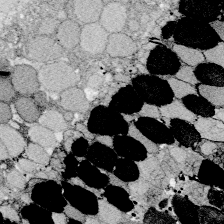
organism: Zebrafish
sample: Whole-Brain